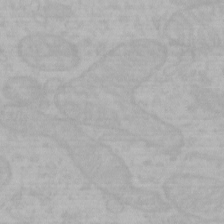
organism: Mouse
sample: Choroid plexus